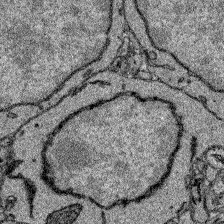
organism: Zebrafish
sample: Larval olfactory bulb